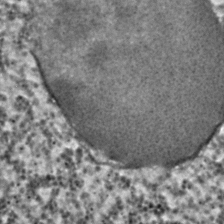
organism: C. elegans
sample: C. elegans embryo